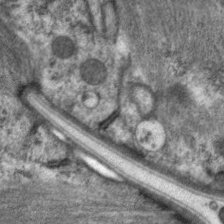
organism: C. elegans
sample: Pharynx